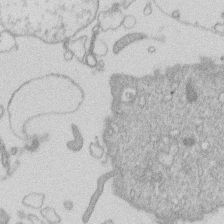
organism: Human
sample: Macrophage cells